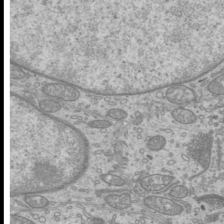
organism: Mouse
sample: Cilia; mouse epididymis